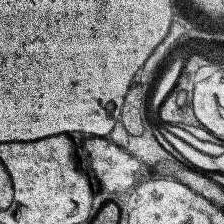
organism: Human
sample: Temporal Lobe